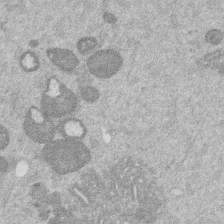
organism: Mouse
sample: Dividing mouse embryo 1 cell stage